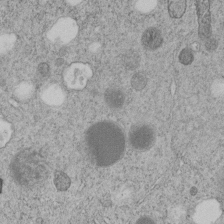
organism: C. elegans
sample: C. elegans embryo early stage